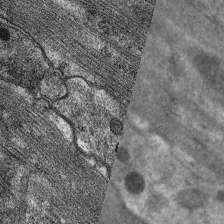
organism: C. elegans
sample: Pharynx